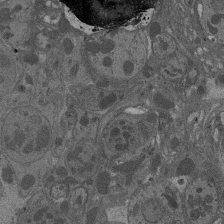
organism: Drosophila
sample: Antenna